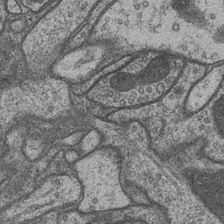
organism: Drosophila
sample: Optic medulla